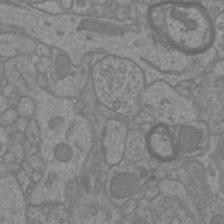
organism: Mouse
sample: Cortical neurons